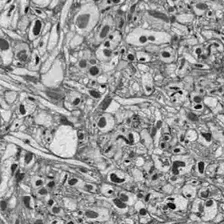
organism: Drosophila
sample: Optic lobe